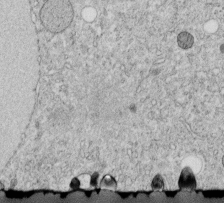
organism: C. elegans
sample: C. elegans embryo early stage